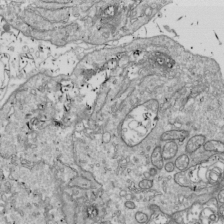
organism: Drosophila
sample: Cell division; meiosis; drosophila spermatocytes